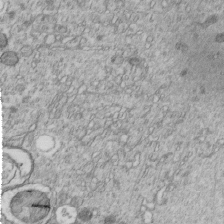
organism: C. elegans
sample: C. elegans embryo early stage